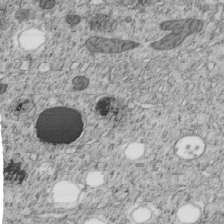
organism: C. elegans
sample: C. elegans embryo early stage